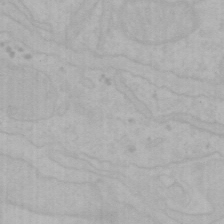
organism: Mouse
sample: Choroid plexus